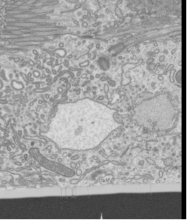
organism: Mouse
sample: Cilia; mouse epididymis